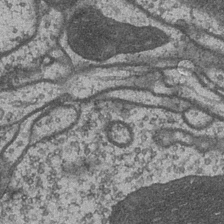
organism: Drosophila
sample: Optic medulla